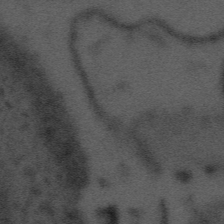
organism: Tuwongella immobilis